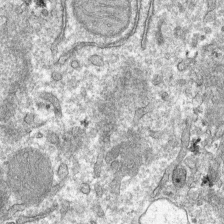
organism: Mouse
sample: Mouse hepatocytes